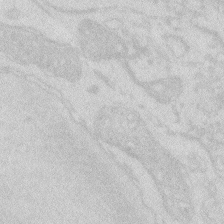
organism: Zebrafish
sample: Macrophage